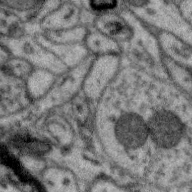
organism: Zebra finch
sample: Brain